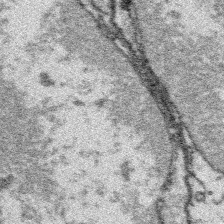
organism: Platynereis dumerilii